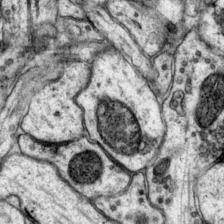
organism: Mouse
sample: Primary visual cortex